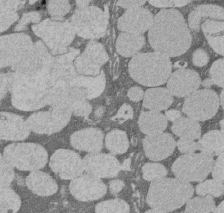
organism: Rat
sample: Salivary granule